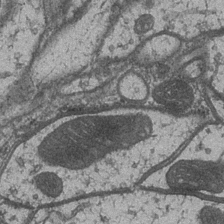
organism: Drosophila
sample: Optic medulla